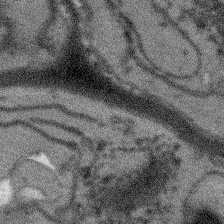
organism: Arabidopsis thaliana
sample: Root tip